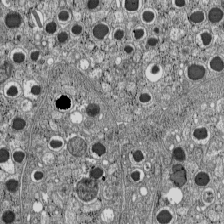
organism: C57BL Mouse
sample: Pancreatic islet